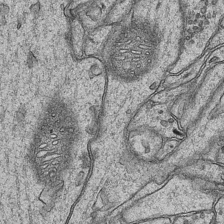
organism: Mouse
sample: CA1 Hippocampus